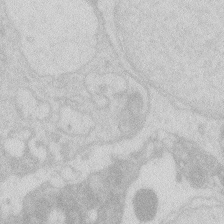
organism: Zebrafish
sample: Macrophage